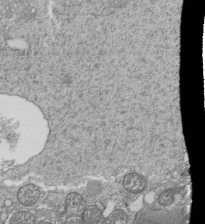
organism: Tetrahymena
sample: Cilia in tetrahymena